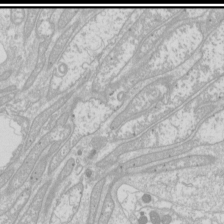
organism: Drosophila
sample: Cell division; meiosis; drosophila spermatocytes